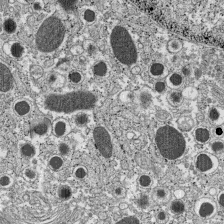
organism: C57BL Mouse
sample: Pancreatic islet